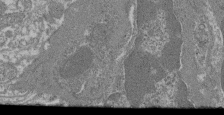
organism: Mouse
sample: Glomerulus